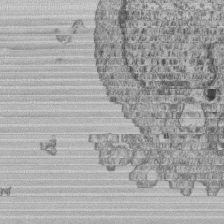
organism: Human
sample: MDA-MB-231 cells